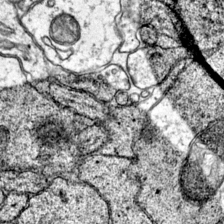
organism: Mouse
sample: Primary visual cortex